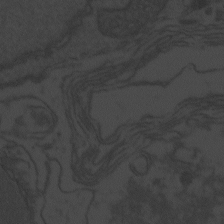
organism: Zebrafish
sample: Macrophage infected with Toxoplasma gondii